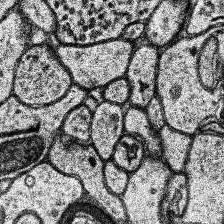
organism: Human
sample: Temporal Lobe